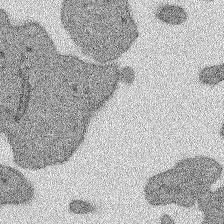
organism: Human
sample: HeLa cells